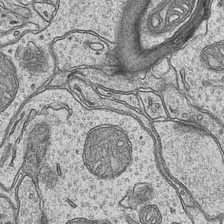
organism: Mouse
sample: CA1 Hippocampus